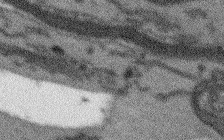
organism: Arabidopsis thaliana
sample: Root tip